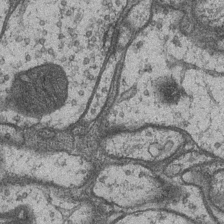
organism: Drosophila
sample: Optic medulla